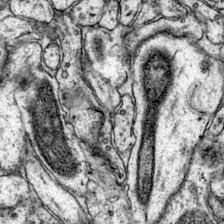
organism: Mouse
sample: Primary visual cortex